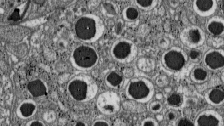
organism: C57BL Mouse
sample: Pancreatic islet